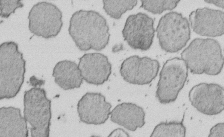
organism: E. coli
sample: Bacterial nucleoid